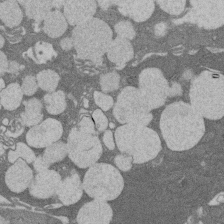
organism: Rat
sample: Salivary granule